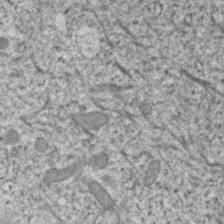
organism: Human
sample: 1205lu cells